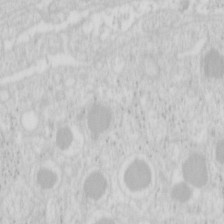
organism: Mouse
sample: Pancreas